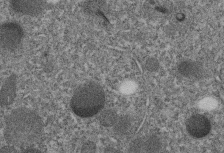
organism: C. elegans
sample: C. elegans embryo early stage